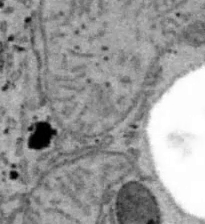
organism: Mouse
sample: Liver from an obese (ob/ob) mouse